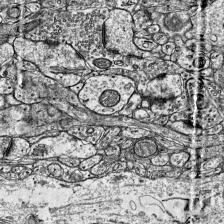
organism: Mouse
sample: Visual Cortex